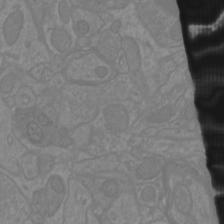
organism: Mouse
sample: Cortical neurons